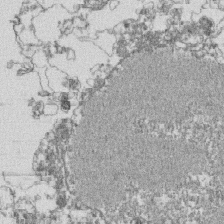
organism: Human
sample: HeLa cell HIV synapse